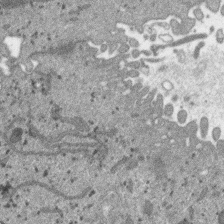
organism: Human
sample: Lung epithelial cells infected with SARS-CoV-2